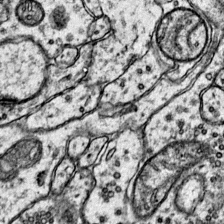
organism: Mouse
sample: Primary visual cortex